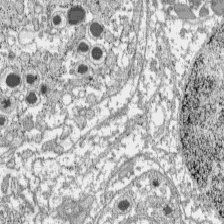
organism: C57BL Mouse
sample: Pancreatic islet